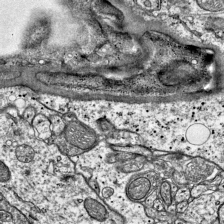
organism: Mouse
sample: Visual Cortex